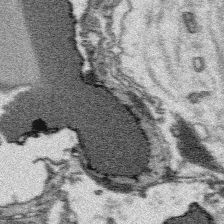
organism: Platynereis dumerilii